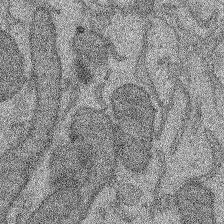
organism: Human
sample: HeLa cells